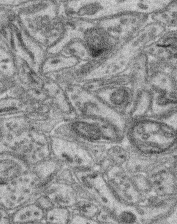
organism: Mouse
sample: Retina